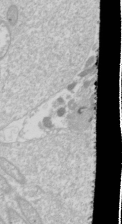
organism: Drosophila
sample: Cell division; meiosis; drosophila spermatocytes